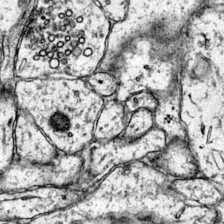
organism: Mouse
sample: Primary visual cortex